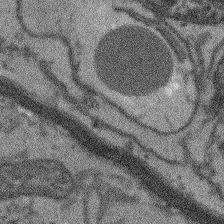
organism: Arabidopsis thaliana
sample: Root tip